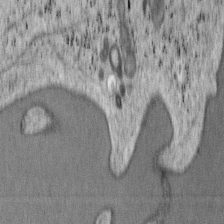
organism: Human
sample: HeLa cells